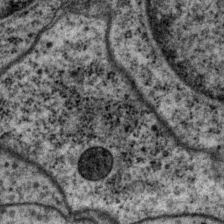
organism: P. pacificus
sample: Pharynx